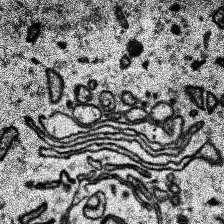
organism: Human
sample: Temporal Lobe